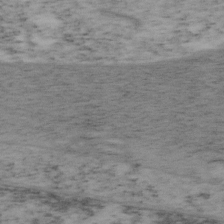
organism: Mouse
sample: OT-I killer T cells with ID8 ovarian cancer cells